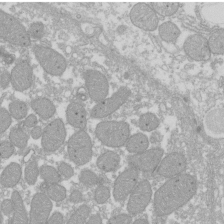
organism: Xenopus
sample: Cilia; centrioles in frog embryo cells